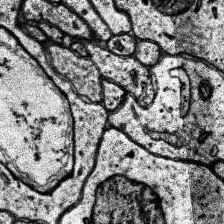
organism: Human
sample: Temporal Lobe